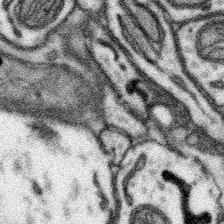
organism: Mouse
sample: Somatosensory cortex neuropil